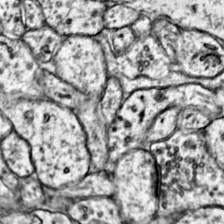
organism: Mouse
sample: Primary visual cortex